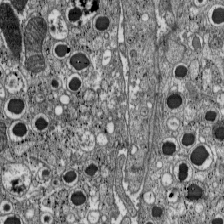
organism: C57BL Mouse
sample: Pancreatic islet